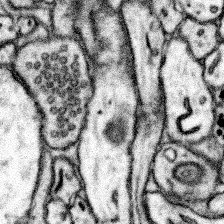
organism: Mouse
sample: Somatosensory cortex neuropil